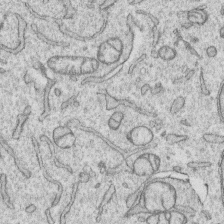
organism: Human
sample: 1205lu cells